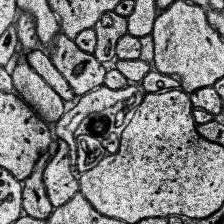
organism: Human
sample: Temporal Lobe